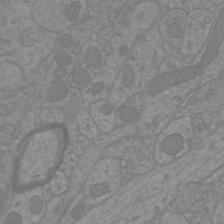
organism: Mouse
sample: Cortical neurons